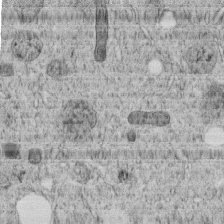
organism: C. elegans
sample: C. elegans embryo early stage